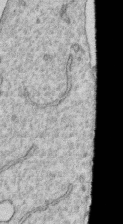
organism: Human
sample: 1205lu cells